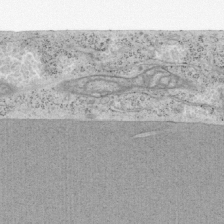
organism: Human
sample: HeLa cells